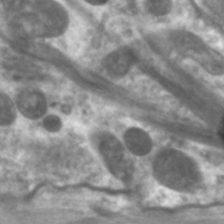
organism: C. elegans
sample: Pharynx